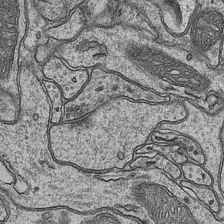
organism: Mouse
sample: CA1 Hippocampus